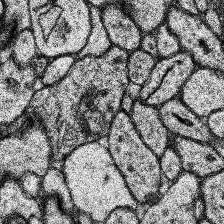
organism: Human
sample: Temporal Lobe